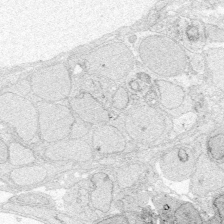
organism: Zebrafish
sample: Whole-Brain